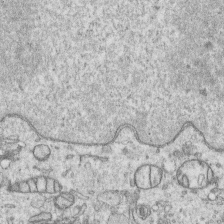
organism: Human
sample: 1205lu cells